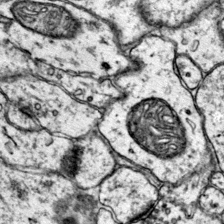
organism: Mouse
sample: Primary visual cortex